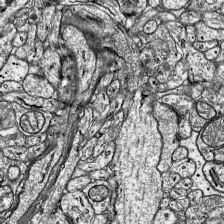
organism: Mouse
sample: Visual Cortex